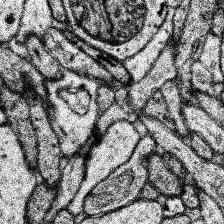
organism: Human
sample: Temporal Lobe